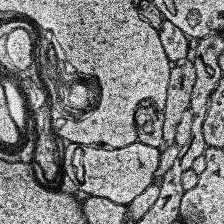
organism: Human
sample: Temporal Lobe